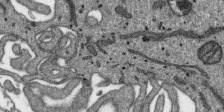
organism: Human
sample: Lung epithelial cells, uninfected (mock) control